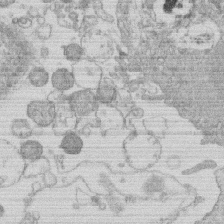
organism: Human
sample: Macrophage cells